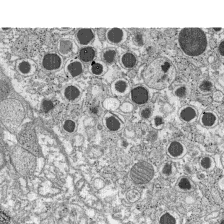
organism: C57BL Mouse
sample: Pancreatic islet